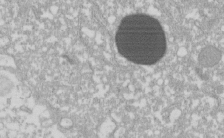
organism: Xenopus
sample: Cilia; centrioles in frog embryo cells